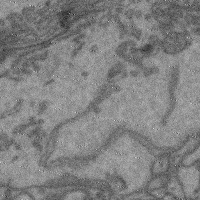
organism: Mouse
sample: Cerebral cortex